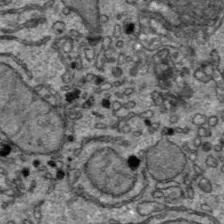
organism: C57BL Mouse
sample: Liver